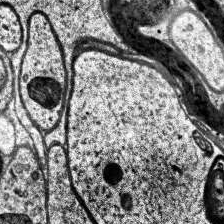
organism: Human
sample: Temporal Lobe